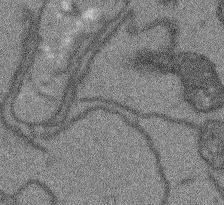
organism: Arabidopsis thaliana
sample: Root tip